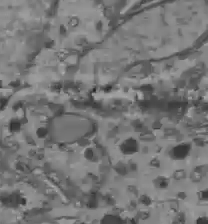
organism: C57BL Mouse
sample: Liver